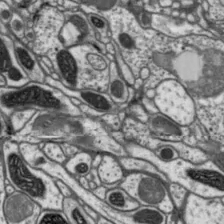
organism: Drosophila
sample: Protocerebral bridge